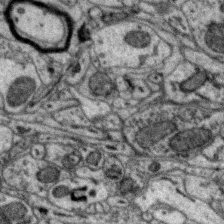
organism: Zebra finch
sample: Brain